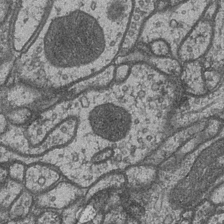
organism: Drosophila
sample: Optic medulla